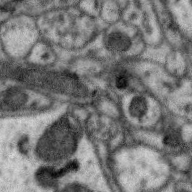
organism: Zebra finch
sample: Brain